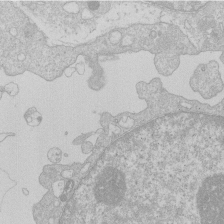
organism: Human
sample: Macrophage cells